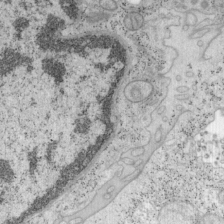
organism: Mouse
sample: OT-I killer T cells with ID8 ovarian cancer cells